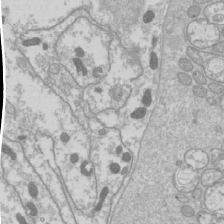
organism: Drosophila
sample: Cell division; meiosis; drosophila spermatocytes